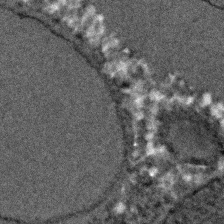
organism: C. elegans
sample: C. elegans embryo